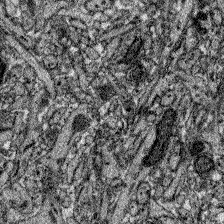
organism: Zebrafish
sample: Larval olfactory bulb